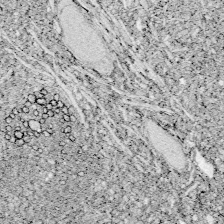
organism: Zebrafish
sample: Whole-Brain